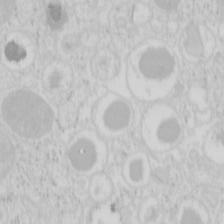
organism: Mouse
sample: Pancreas